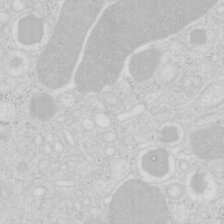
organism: Mouse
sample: Pancreas